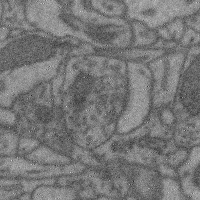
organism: Mouse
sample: Cerebral cortex